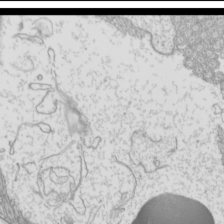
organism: Mouse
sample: Cilia; mouse epididymis